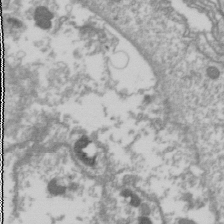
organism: Drosophila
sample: Cell division; meiosis; drosophila spermatocytes